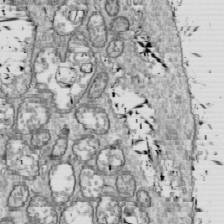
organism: Drosophila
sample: Cell division; meiosis; drosophila spermatocytes